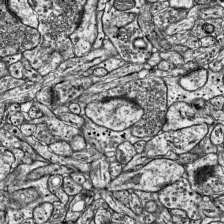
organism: Mouse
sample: Visual Cortex